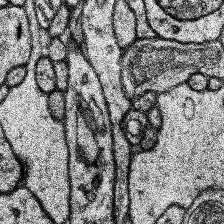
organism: Human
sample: Temporal Lobe